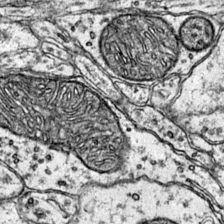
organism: Mouse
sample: Primary visual cortex